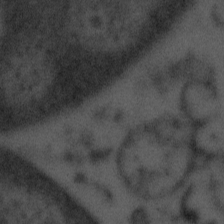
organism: Tuwongella immobilis